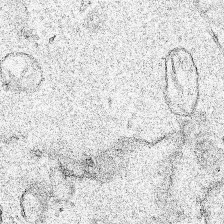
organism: Human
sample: Mitochondria in HCT116 cells